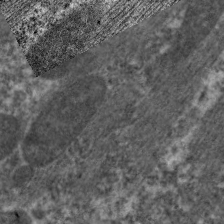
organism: C. elegans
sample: Pharynx